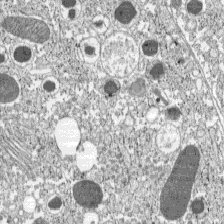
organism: C57BL Mouse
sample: Pancreatic islet